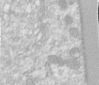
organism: Human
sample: Centriole in RPE cells